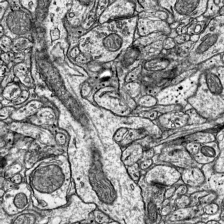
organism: Mouse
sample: Visual Cortex